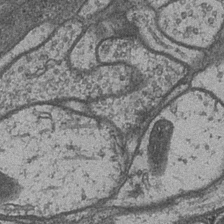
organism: Drosophila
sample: Optic medulla